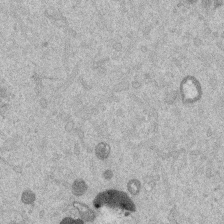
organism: Mouse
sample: Dividing mouse embryo 1 cell stage